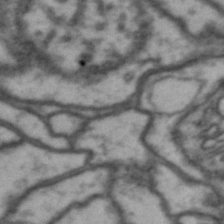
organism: Drosophila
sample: Brain